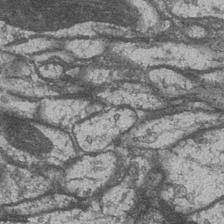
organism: Drosophila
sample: Optic medulla